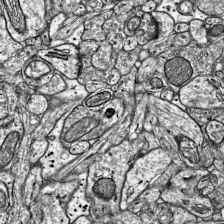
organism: Mouse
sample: Visual Cortex